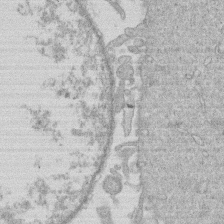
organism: Human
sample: Macrophage cells